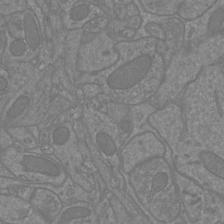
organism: Mouse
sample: Cortical neurons